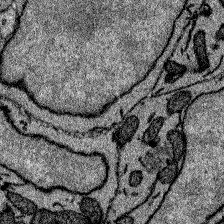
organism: Zebrafish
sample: Larval olfactory bulb